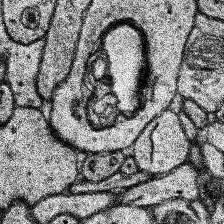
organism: Human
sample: Temporal Lobe